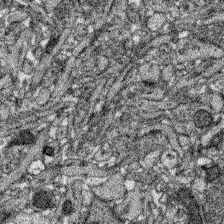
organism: Zebrafish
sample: Larval olfactory bulb